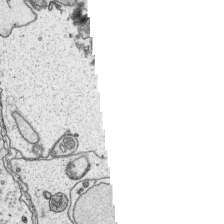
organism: Platynereis dumerilii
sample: Parapodia